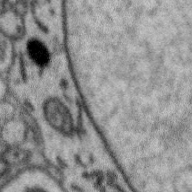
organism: Zebra finch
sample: Brain